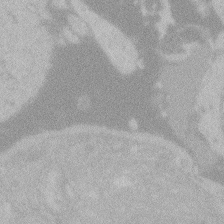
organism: Zebrafish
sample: Macrophage infected with Toxoplasma gondii